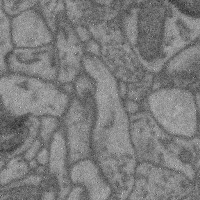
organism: Mouse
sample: Cerebral cortex